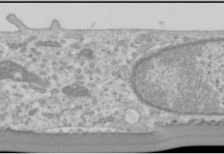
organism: Human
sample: Cilia; basal body in RPE cells